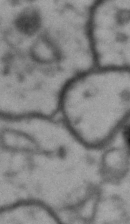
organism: Drosophila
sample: Brain